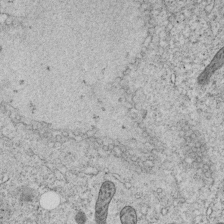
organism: C. elegans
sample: C. elegans embryo early stage